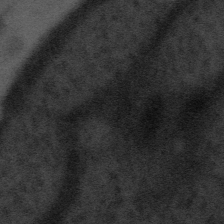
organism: Tuwongella immobilis